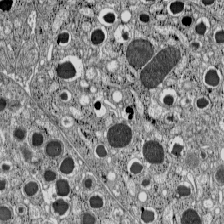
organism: C57BL Mouse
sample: Pancreatic islet